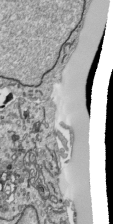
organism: Human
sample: Mitochondria in HCT116 cells